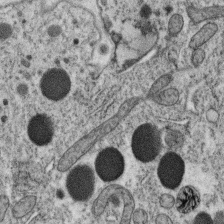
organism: C. elegans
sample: C. elegans oocyte; sperm cells